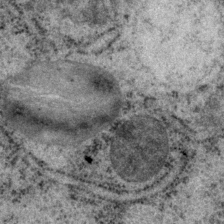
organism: P. pacificus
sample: Pharynx